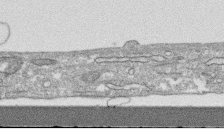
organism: Human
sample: CRL-1474